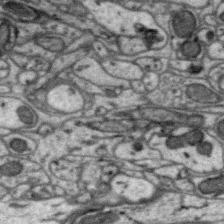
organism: Zebra finch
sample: Brain